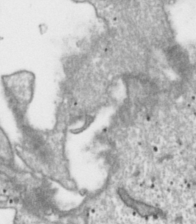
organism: Toxoplasma gondii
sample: Parasites in a vacuole inside a host cell